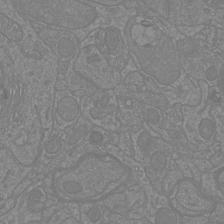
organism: Mouse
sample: Cortical neurons